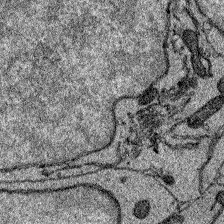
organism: Zebrafish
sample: Larval olfactory bulb